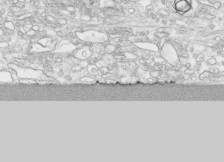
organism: Human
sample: CRL-1474